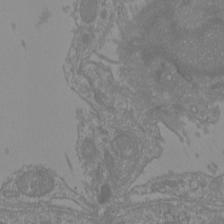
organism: Mouse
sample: Cortical neurons